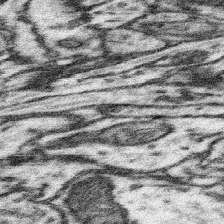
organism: Mouse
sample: Somatosensory cortex neuropil